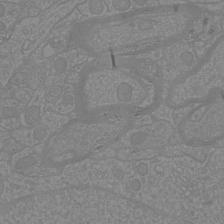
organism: Mouse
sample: Cortical neurons